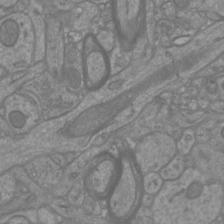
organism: Mouse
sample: Cortical neurons